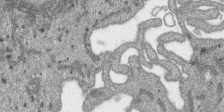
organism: Human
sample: Lung epithelial cells infected with SARS-CoV-2